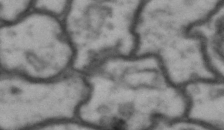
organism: Drosophila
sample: Brain